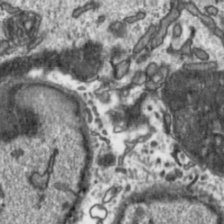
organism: Toxoplasma gondii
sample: Parasites in a vacuole inside a host cell